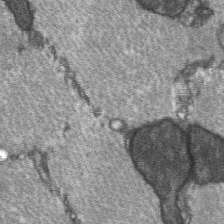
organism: C57BL Mouse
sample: Soleus